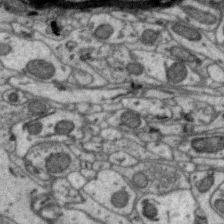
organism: Zebra finch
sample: Brain